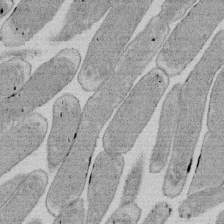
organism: E. coli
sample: Bacterial nucleoid